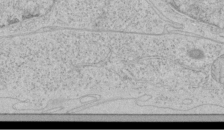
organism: Human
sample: Mitochondria in HCT116 cells